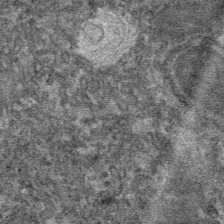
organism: Mouse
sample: Mouse hepatocytes